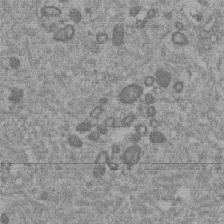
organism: Mouse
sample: Dividing mouse embryo 1 cell stage